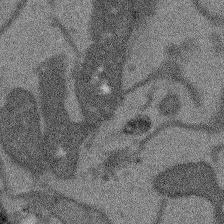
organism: Arabidopsis thaliana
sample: Root tip